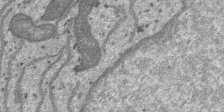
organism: Human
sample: Lung epithelial cells infected with SARS-CoV-2